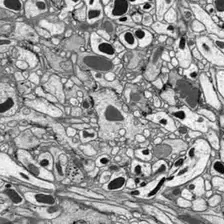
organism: Drosophila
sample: Optic lobe